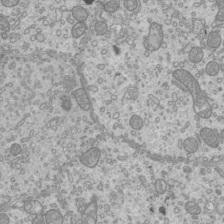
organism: Mouse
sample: Cilia; mouse epididymis